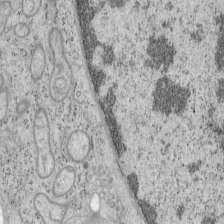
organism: Mouse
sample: OT-I killer T cells with ID8 ovarian cancer cells